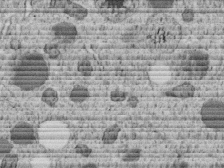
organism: C. elegans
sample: C. elegans embryo early stage